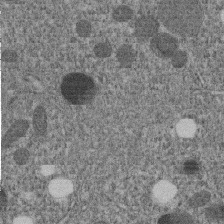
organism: C. elegans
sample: C. elegans embryo early stage